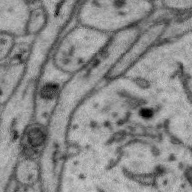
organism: Zebra finch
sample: Brain